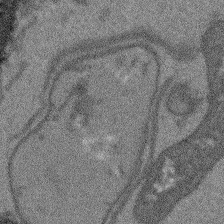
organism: Arabidopsis thaliana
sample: Root tip